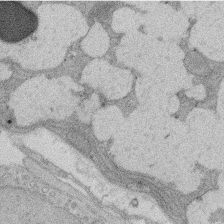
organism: Rat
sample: Salivary granule